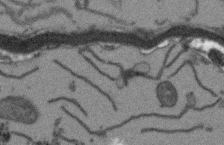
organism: Arabidopsis thaliana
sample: Root tip